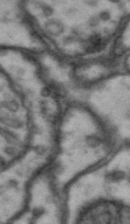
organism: Drosophila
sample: Brain